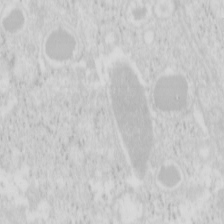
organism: Mouse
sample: Pancreas